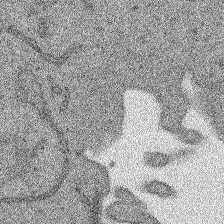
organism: Human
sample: HeLa cells